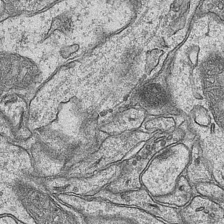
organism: Mouse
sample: CA1 Hippocampus